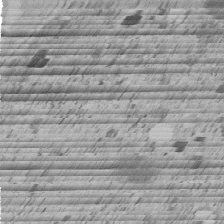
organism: C. elegans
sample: C. elegans embryo early stage